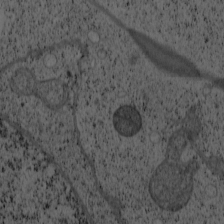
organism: African green monkey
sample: COS-7 cells